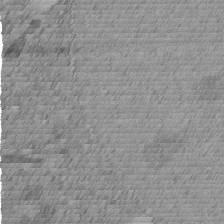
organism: C. elegans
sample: C. elegans embryo early stage